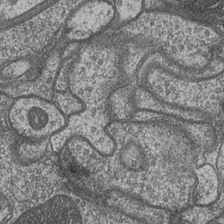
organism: Drosophila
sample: Optic medulla